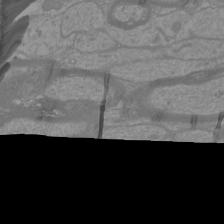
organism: Mouse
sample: Cortical neurons